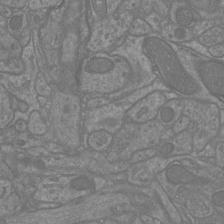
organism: Mouse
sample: Cortical neurons